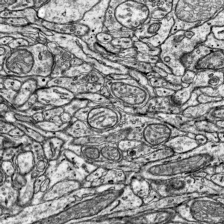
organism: Mouse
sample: Visual Cortex